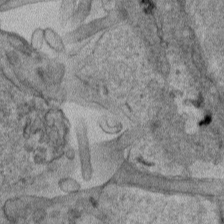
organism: Human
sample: Mitochondria in HCT116 cells